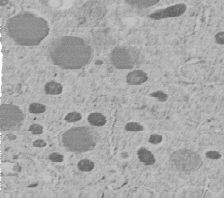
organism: C. elegans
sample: C. elegans embryo early stage